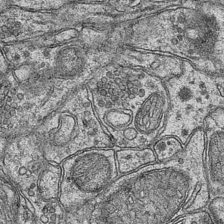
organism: Mouse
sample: CA1 Hippocampus